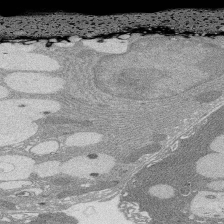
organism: Rat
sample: Salivary granule